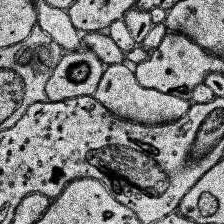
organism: Human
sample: Temporal Lobe